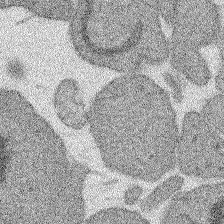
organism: Human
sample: HeLa cells